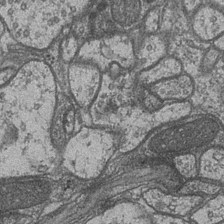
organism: Drosophila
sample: Optic medulla